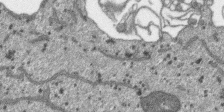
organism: Human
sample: Lung epithelial cells infected with SARS-CoV-2